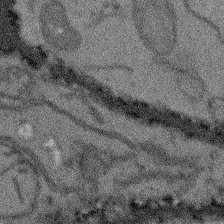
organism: Arabidopsis thaliana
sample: Root tip